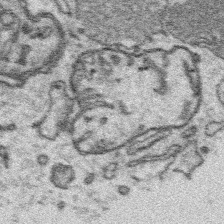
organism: Platynereis dumerilii